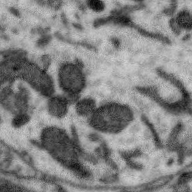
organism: Zebra finch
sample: Brain